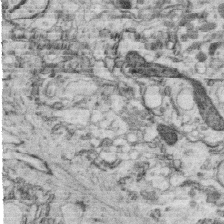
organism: C. elegans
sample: C. elegans oocyte; sperm cells